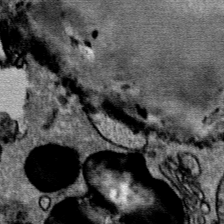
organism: Mouse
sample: Mouse Salivary gland